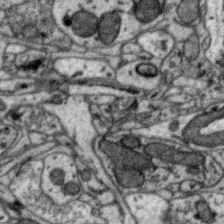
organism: Zebra finch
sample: Brain